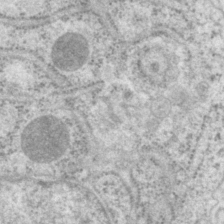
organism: P. pacificus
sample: Pharynx